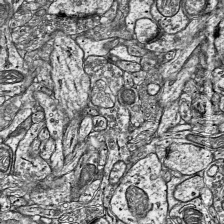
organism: Mouse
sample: Visual Cortex